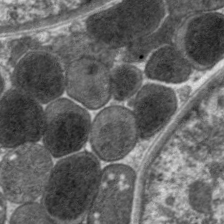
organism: C. elegans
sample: Pharynx